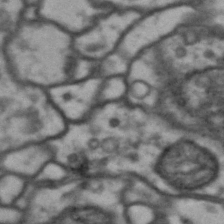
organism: Drosophila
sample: Brain